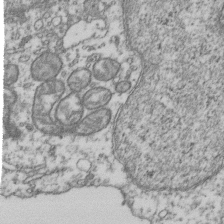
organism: Human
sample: Activated Jurkat CD4+ T cells